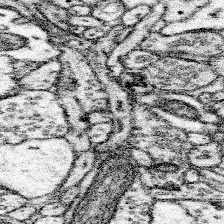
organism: Mouse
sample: Somatosensory cortex neuropil